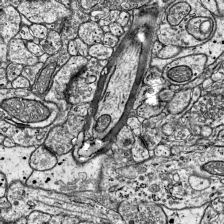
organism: Mouse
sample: Visual Cortex